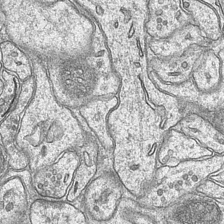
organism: Mouse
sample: CA1 Hippocampus